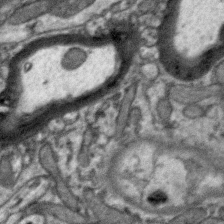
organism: Zebra finch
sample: Brain